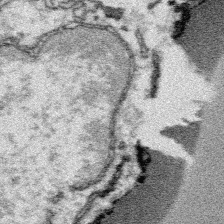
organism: Platynereis dumerilii